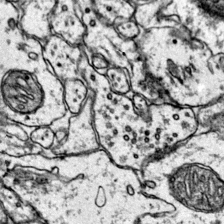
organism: Mouse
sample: Primary visual cortex